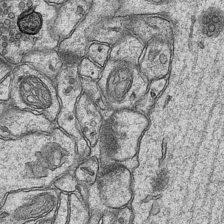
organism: Mouse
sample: CA1 Hippocampus